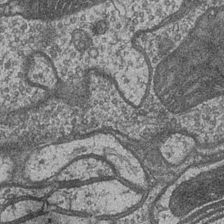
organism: Drosophila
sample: Optic medulla